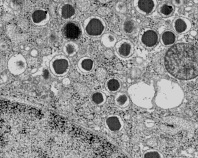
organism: C57BL Mouse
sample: Pancreatic islet